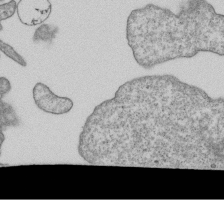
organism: Human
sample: MDA-MB-231 cells